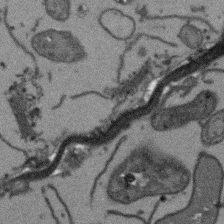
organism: Arabidopsis thaliana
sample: Root tip